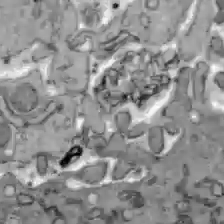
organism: C57BL Mouse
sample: Liver